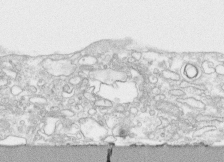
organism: Human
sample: CRL-1474